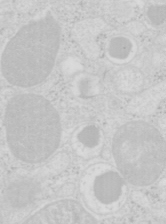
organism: Mouse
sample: Pancreas